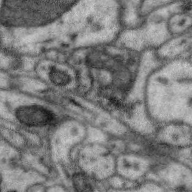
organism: Zebra finch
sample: Brain